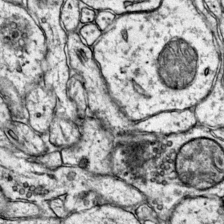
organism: Mouse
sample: Primary visual cortex